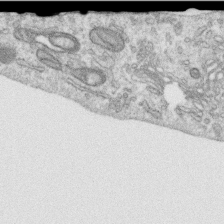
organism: Human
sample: Centriole in RPE cells